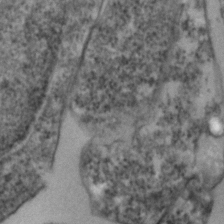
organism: Zebrafish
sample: Zebrafish embryo